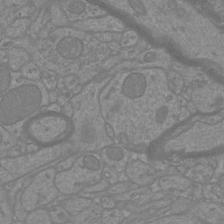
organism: Mouse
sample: Cortical neurons